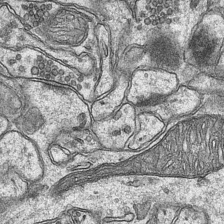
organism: Mouse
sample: CA1 Hippocampus